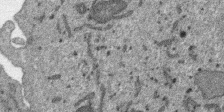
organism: Human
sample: Lung epithelial cells infected with SARS-CoV-2